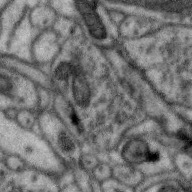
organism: Zebra finch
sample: Brain